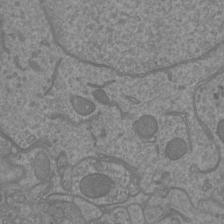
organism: Mouse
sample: Cortical neurons